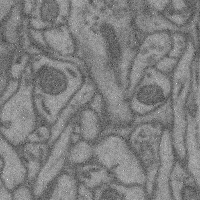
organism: Mouse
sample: Cerebral cortex